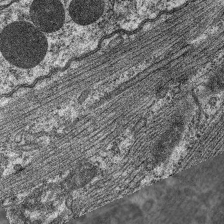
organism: C. elegans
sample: Pharynx